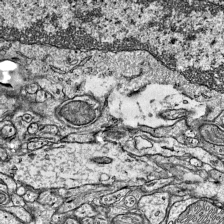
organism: Mouse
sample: Visual Cortex